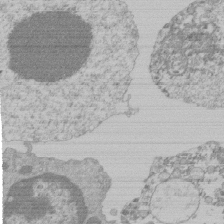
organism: Mouse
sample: Activated Pmel transgenic CD8+ T Cells